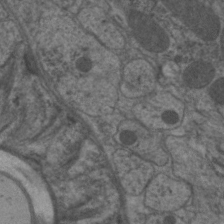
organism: C. elegans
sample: Pharynx